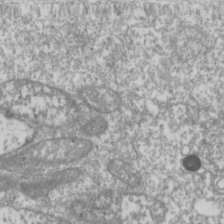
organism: Drosophila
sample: Cell division; meiosis; drosophila spermatocytes